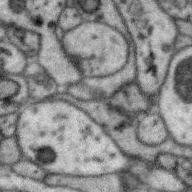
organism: Zebra finch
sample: Brain